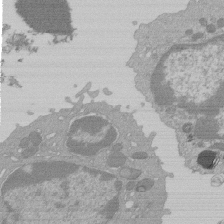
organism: Mouse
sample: Activated Pmel transgenic CD8+ T Cells